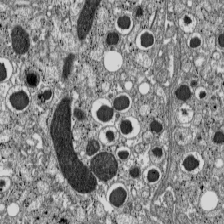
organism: C57BL Mouse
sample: Pancreatic islet